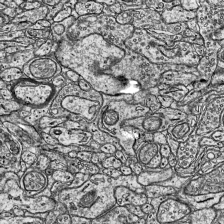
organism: Mouse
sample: Visual Cortex